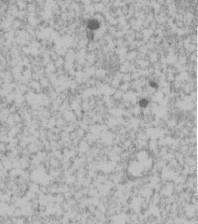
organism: Human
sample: U2-OS cells